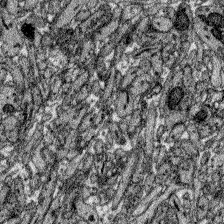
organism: Zebrafish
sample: Larval olfactory bulb